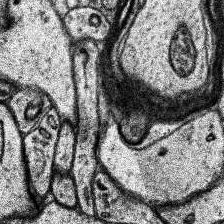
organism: Human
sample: Temporal Lobe